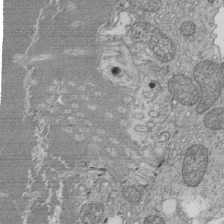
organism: Tetrahymena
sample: Cilia in tetrahymena